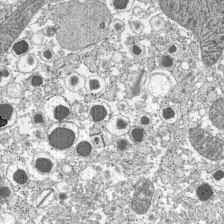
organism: C57BL Mouse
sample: Pancreatic islet